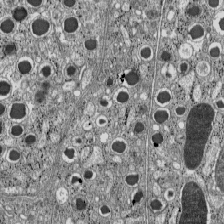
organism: C57BL Mouse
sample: Pancreatic islet